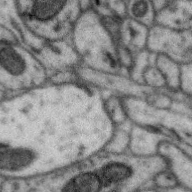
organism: Zebra finch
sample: Brain